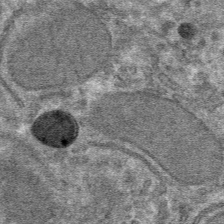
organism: Mouse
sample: Mouse hepatocytes